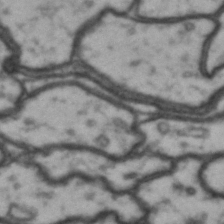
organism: Drosophila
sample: Brain